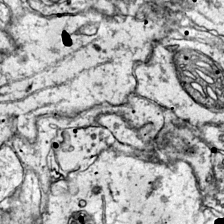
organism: Mouse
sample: Primary visual cortex